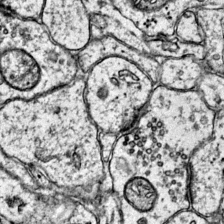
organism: Mouse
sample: Primary visual cortex